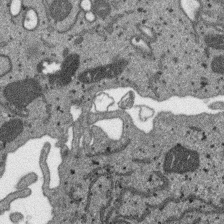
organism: Human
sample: Lung epithelial cells infected with SARS-CoV-2